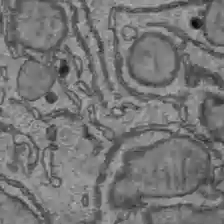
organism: C57BL Mouse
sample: Liver